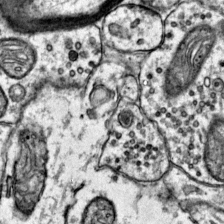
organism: Mouse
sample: Primary visual cortex